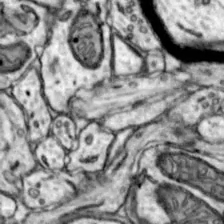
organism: Mouse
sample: Nucleus accumbens